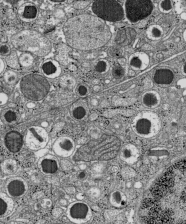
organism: C57BL Mouse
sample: Pancreatic islet